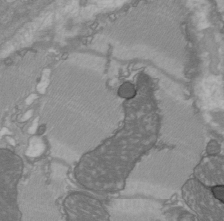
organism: C57BL Mouse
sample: Heart